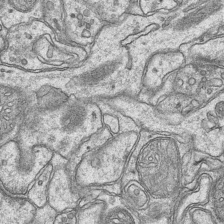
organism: Mouse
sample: CA1 Hippocampus